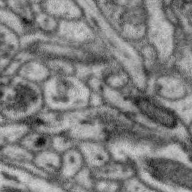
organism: Zebra finch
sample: Brain